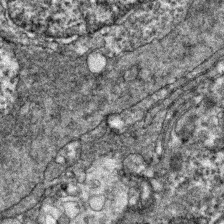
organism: Zebrafish